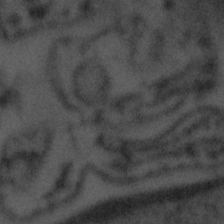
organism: Tuwongella immobilis